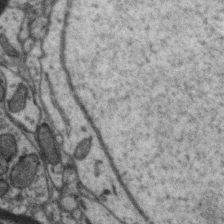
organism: Zebra finch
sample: Brain